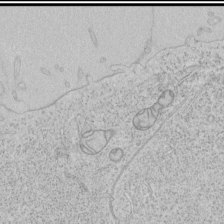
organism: Human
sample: Mitochondria in HCT116 cells